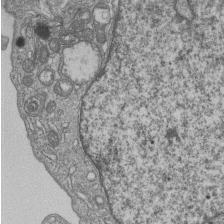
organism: Human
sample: MDA-MB-231 cells